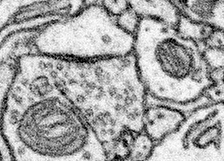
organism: Mouse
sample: Somatosensory cortex neuropil